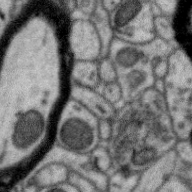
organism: Zebra finch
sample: Brain